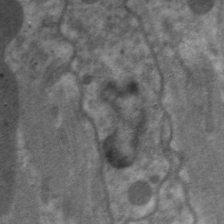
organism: C. elegans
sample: Pharynx